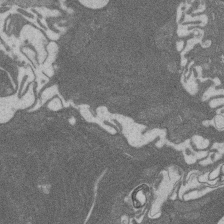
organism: Rat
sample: Salivary granule